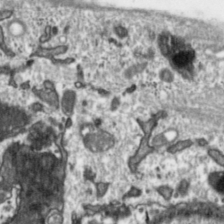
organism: Toxoplasma gondii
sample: Parasites in a vacuole inside a host cell